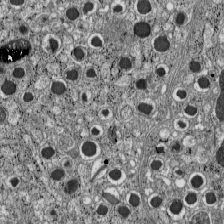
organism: C57BL Mouse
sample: Pancreatic islet